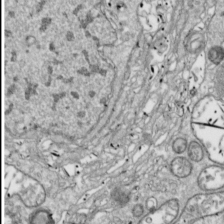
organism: Drosophila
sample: Cell division; meiosis; drosophila spermatocytes